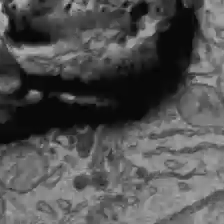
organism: C57BL Mouse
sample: Liver